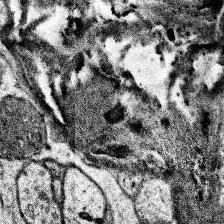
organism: Human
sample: Temporal Lobe